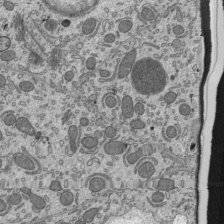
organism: Mouse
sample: Mouse epididymis efferent ductule cilia